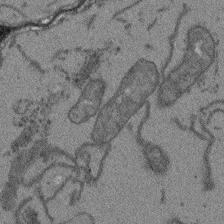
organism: Arabidopsis thaliana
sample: Root tip